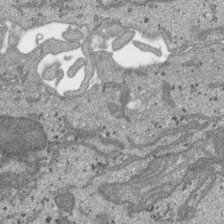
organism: Human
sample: Lung epithelial cells infected with SARS-CoV-2